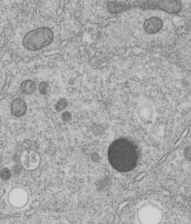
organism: C. elegans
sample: C. elegans embryo early stage